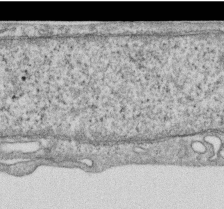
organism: Human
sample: Centriole in RPE cells